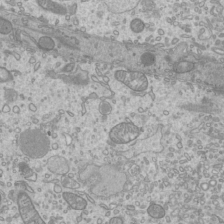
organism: Mouse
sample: Cilia; mouse epididymis